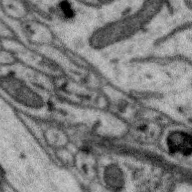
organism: Zebra finch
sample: Brain